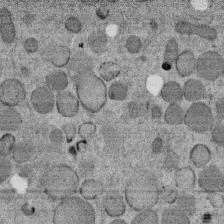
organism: C. elegans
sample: C. elegans embryo early stage